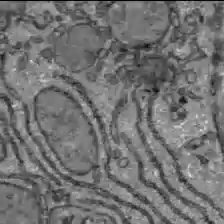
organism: C57BL Mouse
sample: Liver